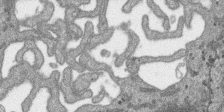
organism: Human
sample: Lung epithelial cells infected with SARS-CoV-2